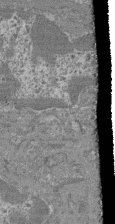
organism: Mouse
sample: Glomerulus